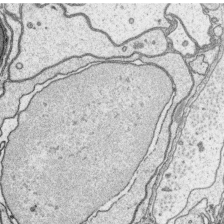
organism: Platynereis dumerilii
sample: Parapodia